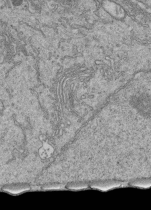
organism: Human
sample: Retinal organoid Rod and Cone cells